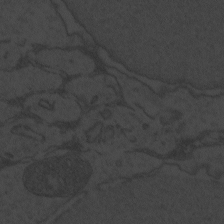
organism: Zebrafish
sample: Macrophage infected with Toxoplasma gondii